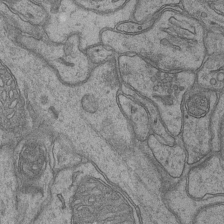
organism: Mouse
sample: CA1 Hippocampus